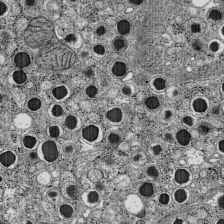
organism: C57BL Mouse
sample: Pancreatic islet